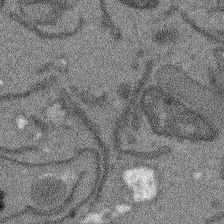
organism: Arabidopsis thaliana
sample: Root tip